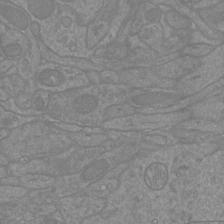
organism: Mouse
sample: Cortical neurons